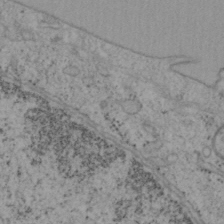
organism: Human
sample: HeLa cells